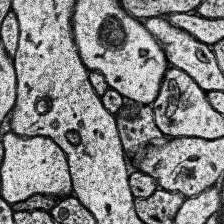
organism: Human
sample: Temporal Lobe